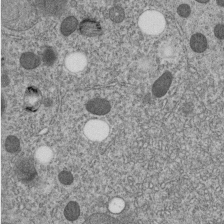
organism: C. elegans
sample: C. elegans embryo early stage